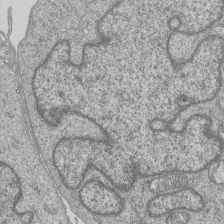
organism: Human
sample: MDA-MB-231 cells